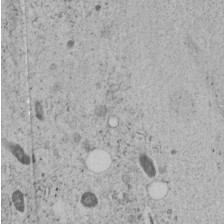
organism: C. elegans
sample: C. elegans embryo early stage